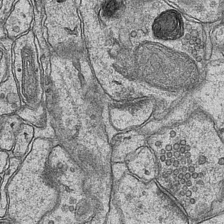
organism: Mouse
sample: CA1 Hippocampus